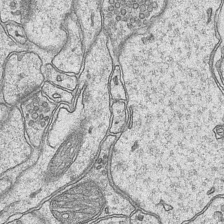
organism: Mouse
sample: CA1 Hippocampus